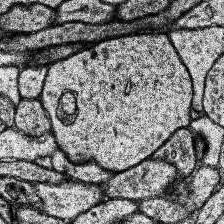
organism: Human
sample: Temporal Lobe